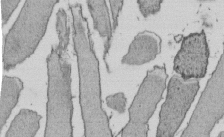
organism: E. coli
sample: Bacterial nucleoid